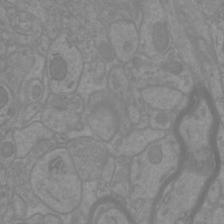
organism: Mouse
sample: Cortical neurons